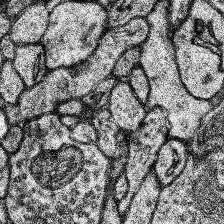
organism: Human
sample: Temporal Lobe